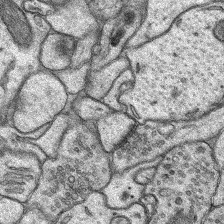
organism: Rat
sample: Hippocampus